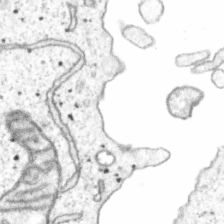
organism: Human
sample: HeLa cells